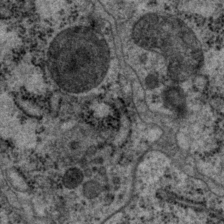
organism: P. pacificus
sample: Pharynx